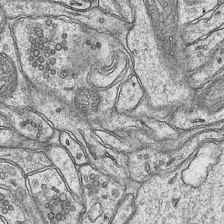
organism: Mouse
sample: CA1 Hippocampus